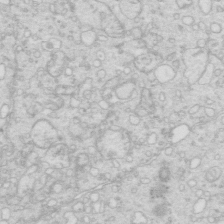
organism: Mouse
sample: Multiciliated cells